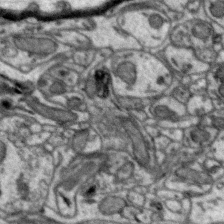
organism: Zebra finch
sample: Brain